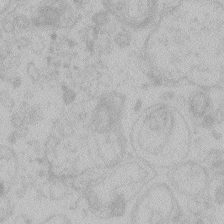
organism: Zebrafish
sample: Macrophage infected with Toxoplasma gondii